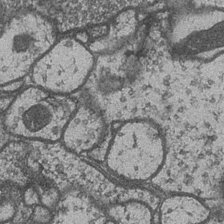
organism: Drosophila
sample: Optic medulla